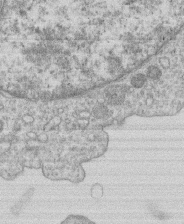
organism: Human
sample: Macrophage cells